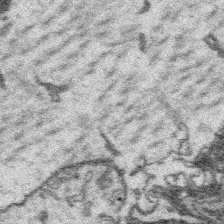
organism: Platynereis dumerilii